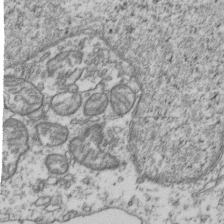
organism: Human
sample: Activated Jurkat CD4+ T cells